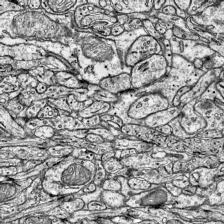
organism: Mouse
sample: Visual Cortex